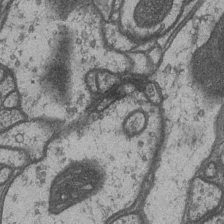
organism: Drosophila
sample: Optic medulla